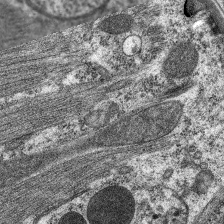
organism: C. elegans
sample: Pharynx